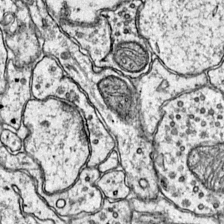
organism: Mouse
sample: Primary visual cortex